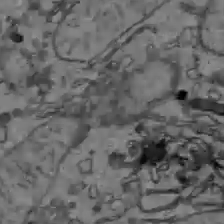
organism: C57BL Mouse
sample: Liver